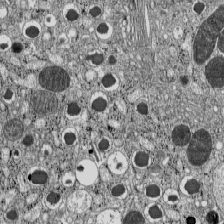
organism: C57BL Mouse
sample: Pancreatic islet